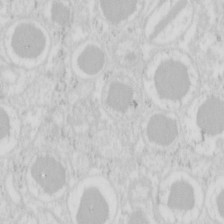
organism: Mouse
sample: Pancreas